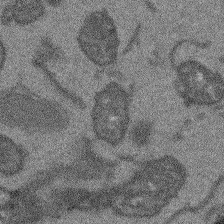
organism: Arabidopsis thaliana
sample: Root tip